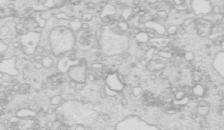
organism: Mouse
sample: Multiciliated cells